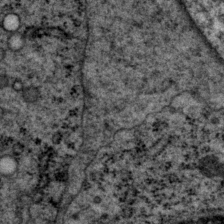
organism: P. pacificus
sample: Pharynx